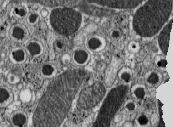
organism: C57BL Mouse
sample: Pancreatic islet